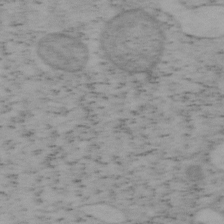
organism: Mouse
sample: OT-I killer T cells with ID8 ovarian cancer cells